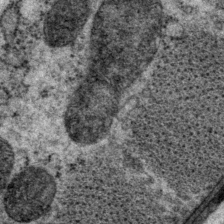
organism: P. pacificus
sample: Pharynx